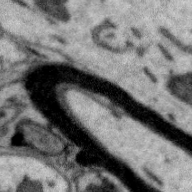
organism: Zebra finch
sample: Brain